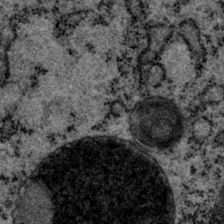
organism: P. pacificus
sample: Pharynx